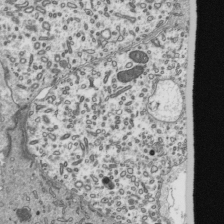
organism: Mouse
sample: Mouse epididymis efferent ductule cilia